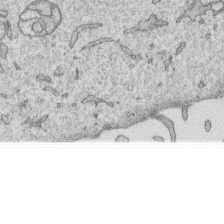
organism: Human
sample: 1205lu cells